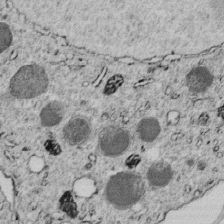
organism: C. elegans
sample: C. elegans embryo early stage